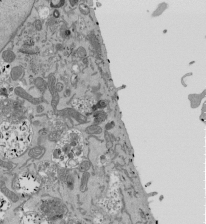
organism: Mouse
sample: ED-1 cell nuclei; centrioles